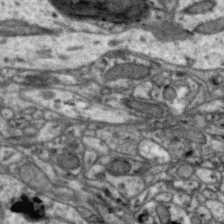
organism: Zebra finch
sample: Brain